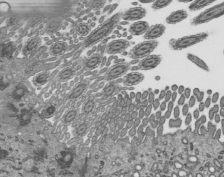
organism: Mouse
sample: Mouse epididymis efferent ductule cilia